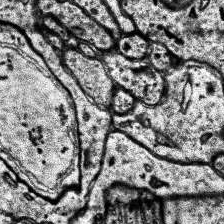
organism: Human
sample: Temporal Lobe